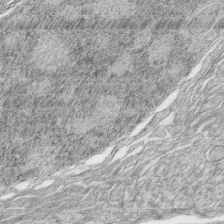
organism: Zebrafish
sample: synaptic ribbons in rod cells and cone cells